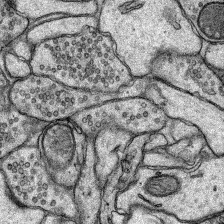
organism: Rat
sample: Hippocampus